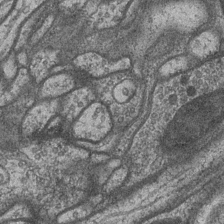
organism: Drosophila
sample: Optic medulla